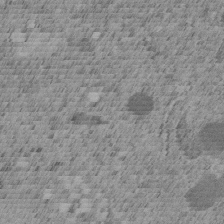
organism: C. elegans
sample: C. elegans embryo early stage